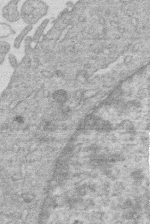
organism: Human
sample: Macrophage cells